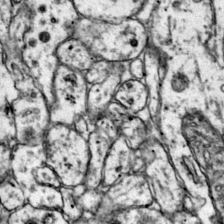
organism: Mouse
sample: Primary visual cortex